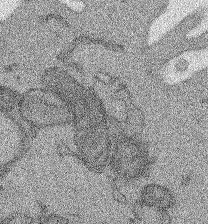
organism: Human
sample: HeLa cells